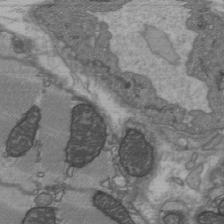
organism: C57BL Mouse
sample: Heart